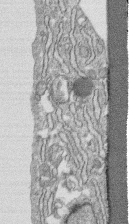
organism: Human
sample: CRL-1474